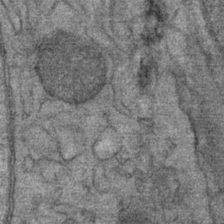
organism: Mouse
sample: Mouse Salivary gland